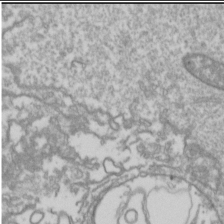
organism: Drosophila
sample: Cell division; meiosis; drosophila spermatocytes